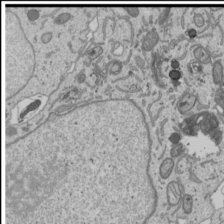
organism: Human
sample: Mitochondria in U2OS cells